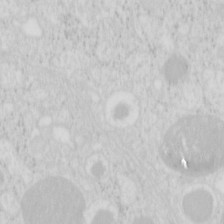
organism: Mouse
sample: Pancreas